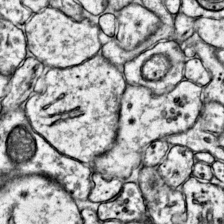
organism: Mouse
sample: Primary visual cortex